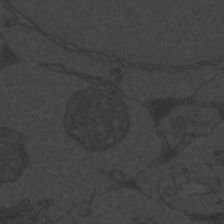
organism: Zebrafish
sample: Macrophage infected with Toxoplasma gondii